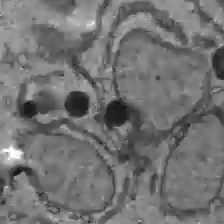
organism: C57BL Mouse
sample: Liver